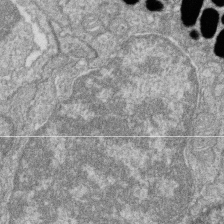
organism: Zebrafish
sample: Cilia; retinal pigment epithelium